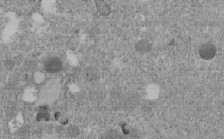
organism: C. elegans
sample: C. elegans embryo early stage